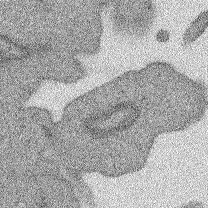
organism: Human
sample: HeLa cells